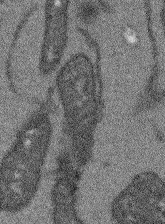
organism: Arabidopsis thaliana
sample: Root tip